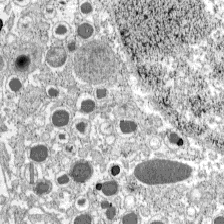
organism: C57BL Mouse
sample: Pancreatic islet